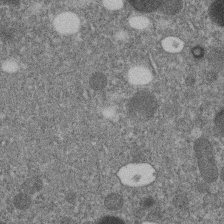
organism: C. elegans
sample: C. elegans embryo early stage